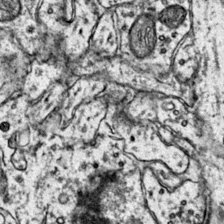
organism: Mouse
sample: Primary visual cortex